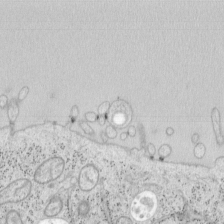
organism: Mouse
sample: OT-I killer T cells with ID8 ovarian cancer cells